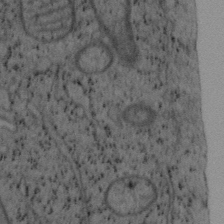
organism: Human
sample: HeLa cells